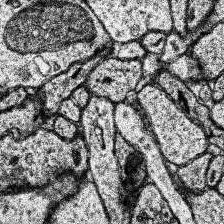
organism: Human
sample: Temporal Lobe